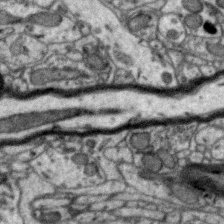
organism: Zebra finch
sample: Brain